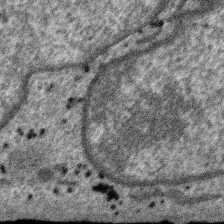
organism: Human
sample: Lung epithelial cells infected with SARS-CoV-2